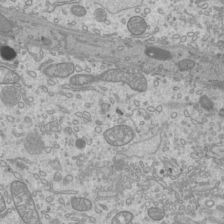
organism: Mouse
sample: Cilia; mouse epididymis